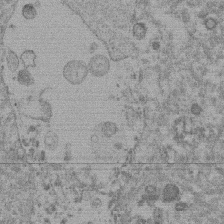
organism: Mouse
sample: Dividing mouse embryo 1 cell stage